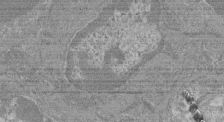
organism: Mouse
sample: Glomerulus